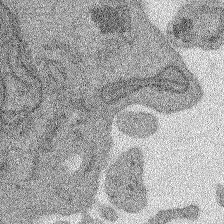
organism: Human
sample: HeLa cells